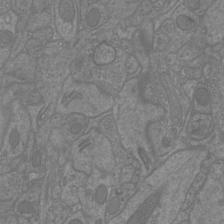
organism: Mouse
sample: Cortical neurons